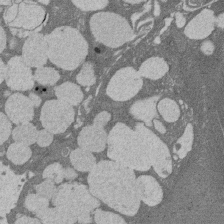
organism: Rat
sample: Salivary granule